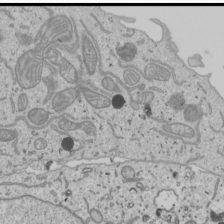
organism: Human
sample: Mitochondria in U2OS cells